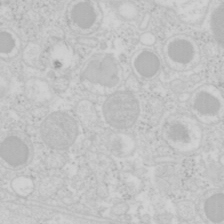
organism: Mouse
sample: Pancreas